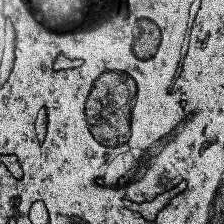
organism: Human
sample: Temporal Lobe